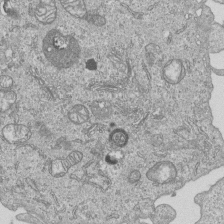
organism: Human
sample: MDA-MB-231 cells